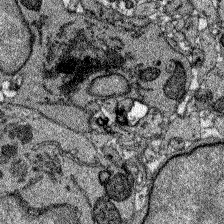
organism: Zebrafish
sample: Larval olfactory bulb